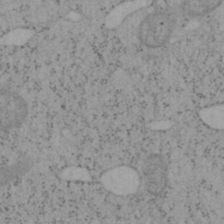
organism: Mouse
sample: OT-I killer T cells with ID8 ovarian cancer cells